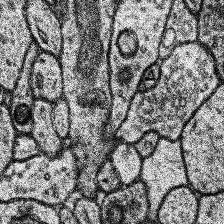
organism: Human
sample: Temporal Lobe